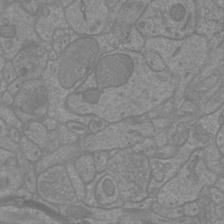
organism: Mouse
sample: Cortical neurons